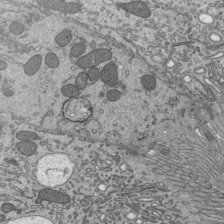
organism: Mouse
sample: Mouse epididymis efferent ductule cilia